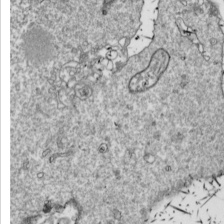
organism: Drosophila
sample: Cell division; meiosis; drosophila spermatocytes